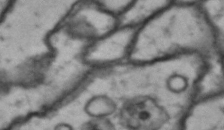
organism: Drosophila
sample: Brain